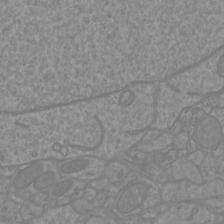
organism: Mouse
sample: Cortical neurons